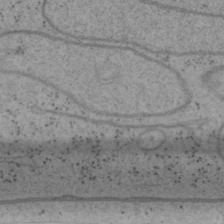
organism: Human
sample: HeLa cells